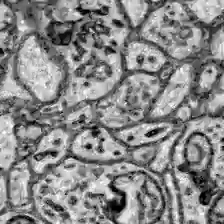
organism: Zebrafish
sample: Brain